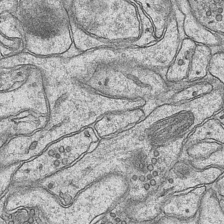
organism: Mouse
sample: CA1 Hippocampus